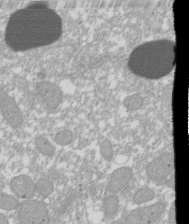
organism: Xenopus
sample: Cilia; centrioles in frog embryo cells